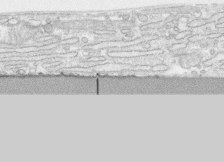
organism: Human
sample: CRL-1474